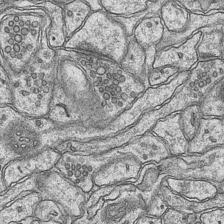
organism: Mouse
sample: CA1 Hippocampus